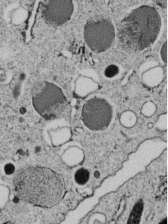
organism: C. elegans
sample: C. elegans embryo early stage